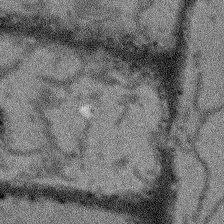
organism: Arabidopsis thaliana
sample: Root tip